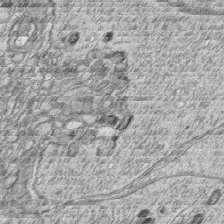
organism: Zebrafish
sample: synaptic ribbons in rod cells and cone cells